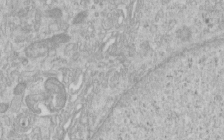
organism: Human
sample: Centriole in RPE cells